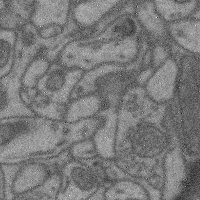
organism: Mouse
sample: Cerebral cortex